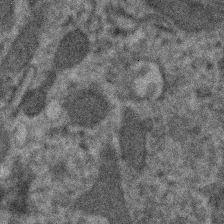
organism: Human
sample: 1205lu cells